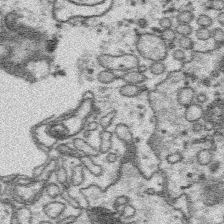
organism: Platynereis dumerilii